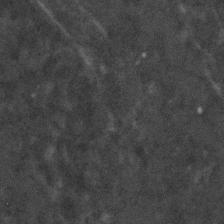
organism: C. elegans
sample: C. elegans embryo